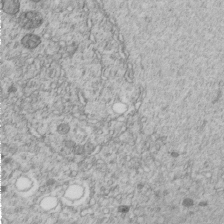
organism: C. elegans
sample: C. elegans embryo early stage